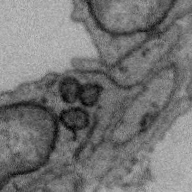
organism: Zebra finch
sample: Brain